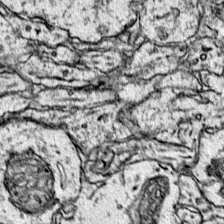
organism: Mouse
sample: Primary visual cortex